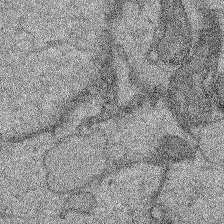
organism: Human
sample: HeLa cells